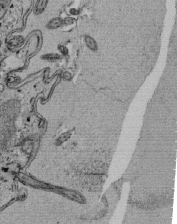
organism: Tetrahymena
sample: Cilia in tetrahymena